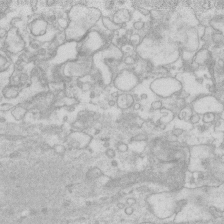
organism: Human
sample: Fibroblast cells